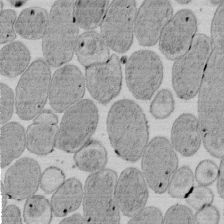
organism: E. coli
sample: Bacterial nucleoid